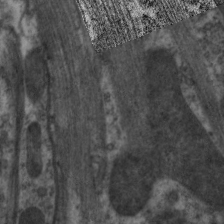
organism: C. elegans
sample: Pharynx